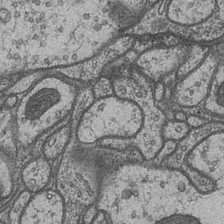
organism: Drosophila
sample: Optic medulla